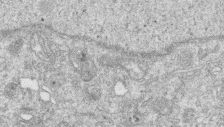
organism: Human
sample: HeLa cell HIV synapse